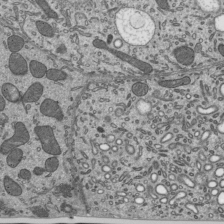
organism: Mouse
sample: Mouse epididymis efferent ductule cilia